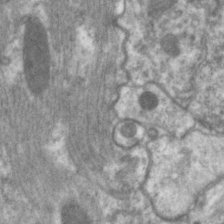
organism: C. elegans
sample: Pharynx